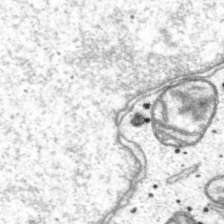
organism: Human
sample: HeLa cells